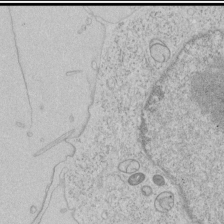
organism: Human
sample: Mitochondria in HCT116 cells